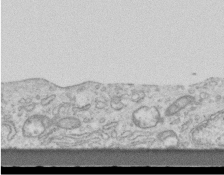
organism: Mouse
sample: Centriole in ependymal cells